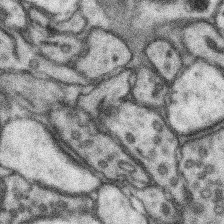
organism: Mouse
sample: Somatosensory cortex neuropil